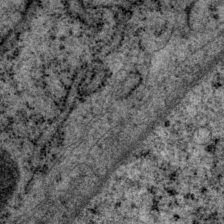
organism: P. pacificus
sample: Pharynx